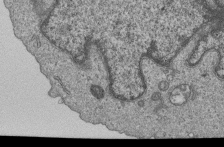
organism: Human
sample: MDA-MB-231 cells